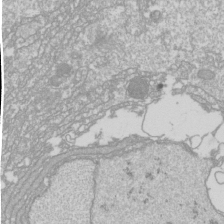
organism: Drosophila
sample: Cell division; meiosis; drosophila spermatocytes